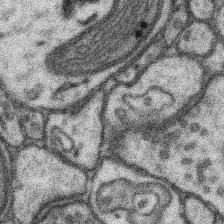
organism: Mouse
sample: Somatosensory cortex neuropil